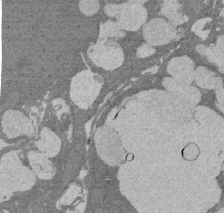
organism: Rat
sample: Salivary granule